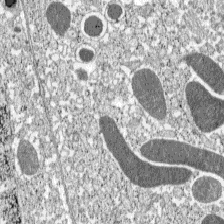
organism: C57BL Mouse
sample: Pancreatic islet